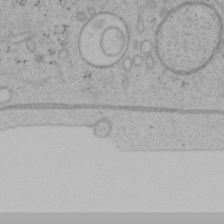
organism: Human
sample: HeLa cells